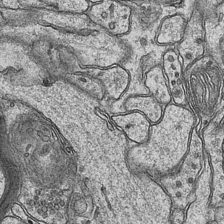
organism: Mouse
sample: CA1 Hippocampus